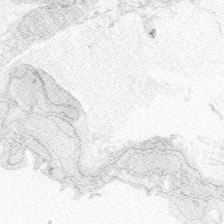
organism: Zebrafish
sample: Whole-Brain